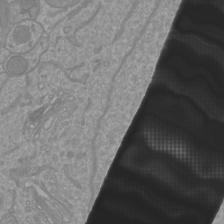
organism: Mouse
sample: Cortical neurons